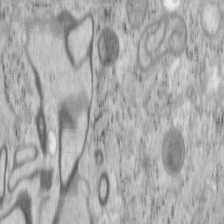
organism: Human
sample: HeLa cells